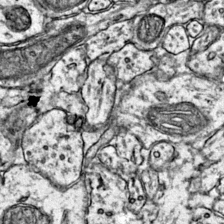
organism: Mouse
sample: Primary visual cortex